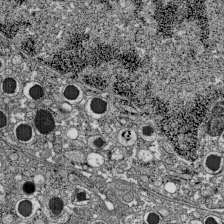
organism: C57BL Mouse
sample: Pancreatic islet